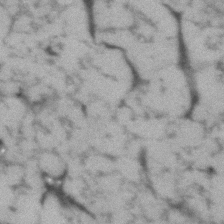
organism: Human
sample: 1205lu cells